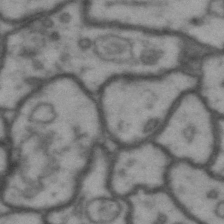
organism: Drosophila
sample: Brain